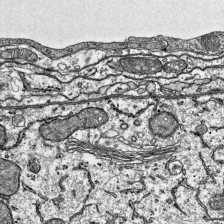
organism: Mouse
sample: Visual Cortex